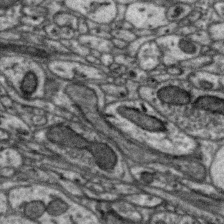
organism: Zebra finch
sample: Brain